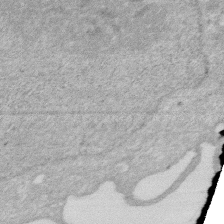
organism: Human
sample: HIV infected U937 cells